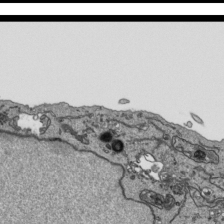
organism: Human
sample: Mitochondria in HCT116 cells